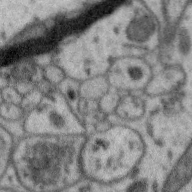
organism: Zebra finch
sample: Brain